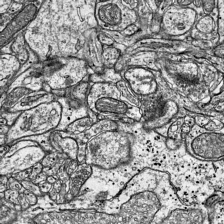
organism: Mouse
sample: Visual Cortex